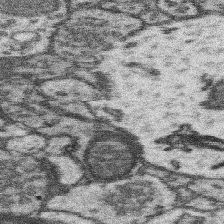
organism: Mouse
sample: Somatosensory cortex neuropil